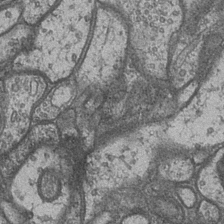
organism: Drosophila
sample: Optic medulla